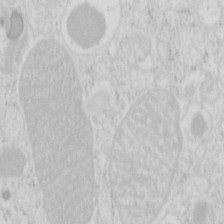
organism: Mouse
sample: Pancreas